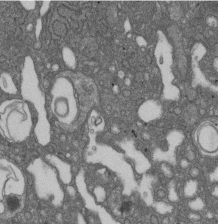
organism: Drosophila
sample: Nephrocyte